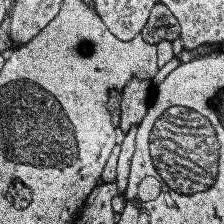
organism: Human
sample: Temporal Lobe